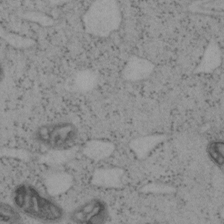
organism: Mouse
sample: OT-I killer T cells with ID8 ovarian cancer cells